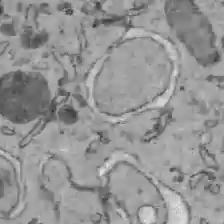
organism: C57BL Mouse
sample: Liver